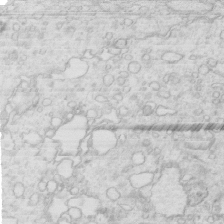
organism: Mouse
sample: Multiciliated cells